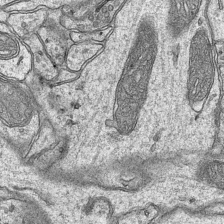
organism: Mouse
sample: CA1 Hippocampus